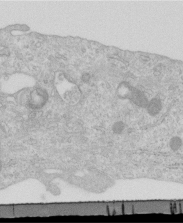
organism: Human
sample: Centriole in RPE cells